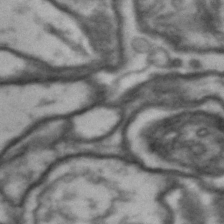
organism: Drosophila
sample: Brain